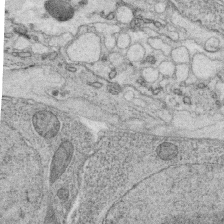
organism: C. elegans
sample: C. elegans oocyte; sperm cells